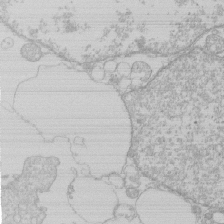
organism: Human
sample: Macrophage cells